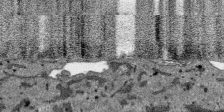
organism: Human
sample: Lung epithelial cells, uninfected (mock) control